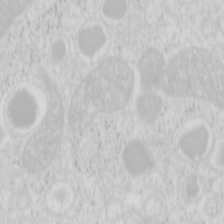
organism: Mouse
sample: Pancreas